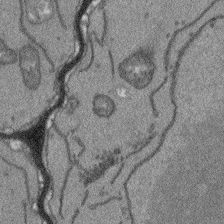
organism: Arabidopsis thaliana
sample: Root tip